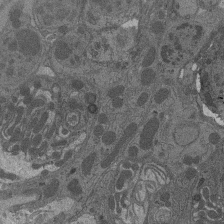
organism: Drosophila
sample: Antenna